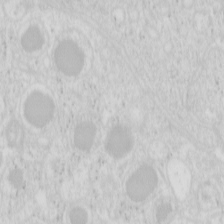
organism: Mouse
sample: Pancreas